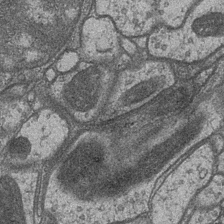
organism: Drosophila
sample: Optic medulla